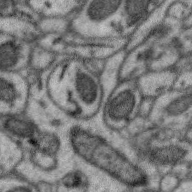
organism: Zebra finch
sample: Brain